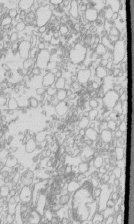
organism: Mouse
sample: Macrophages